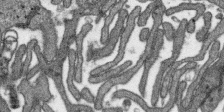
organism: Human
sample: Lung epithelial cells, uninfected (mock) control